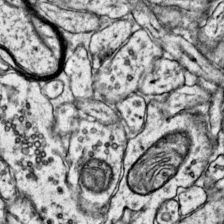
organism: Mouse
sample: Primary visual cortex